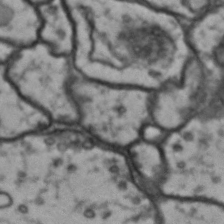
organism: Drosophila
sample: Brain